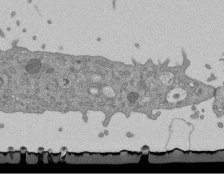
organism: Mouse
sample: ED-1 cell nuclei; centrioles